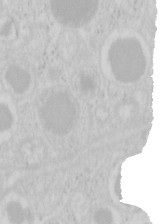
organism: Mouse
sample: Pancreas